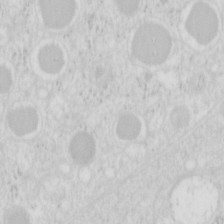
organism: Mouse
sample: Pancreas